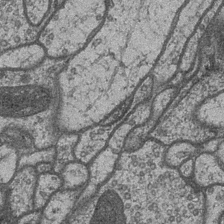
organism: Drosophila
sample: Optic medulla